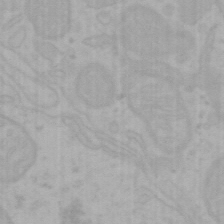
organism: Mouse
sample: Choroid plexus